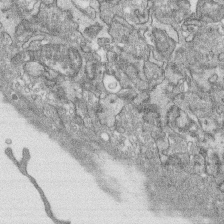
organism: Human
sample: CRL-1474